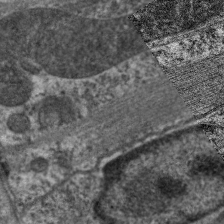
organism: C. elegans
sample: Pharynx